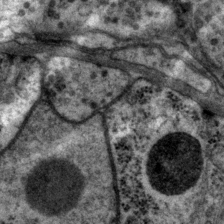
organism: P. pacificus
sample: Pharynx